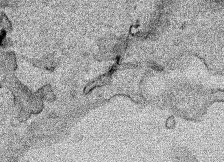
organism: Human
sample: Mitochondria in HCT116 cells